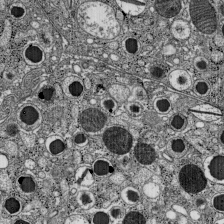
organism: C57BL Mouse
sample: Pancreatic islet